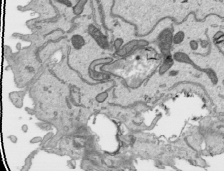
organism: Human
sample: Mitochondria in HCT116 cells